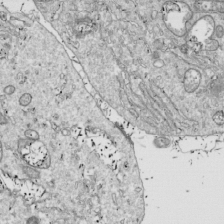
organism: Drosophila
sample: Cell division; meiosis; drosophila spermatocytes